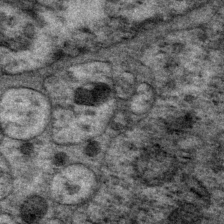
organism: P. pacificus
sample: Pharynx